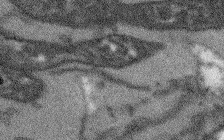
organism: Arabidopsis thaliana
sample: Root tip